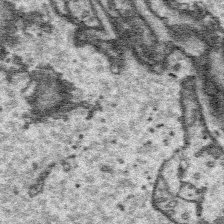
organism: Platynereis dumerilii